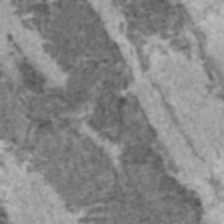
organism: C57BL Mouse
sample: Heart